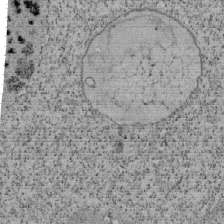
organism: Tetrahymena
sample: Cilia in tetrahymena